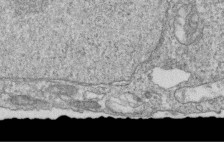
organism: Human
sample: HeLa cell HIV synapse